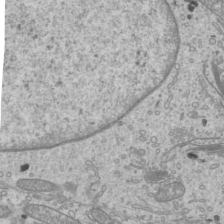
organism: Mouse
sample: Cilia; mouse epididymis